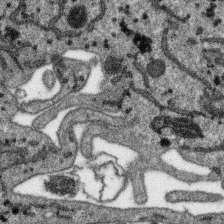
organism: Human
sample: Lung epithelial cells infected with SARS-CoV-2